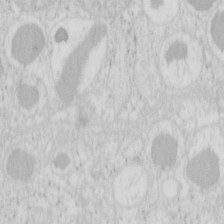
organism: Mouse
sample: Pancreas